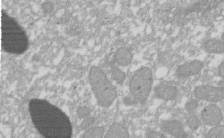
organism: Xenopus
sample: Cilia; centrioles in frog embryo cells